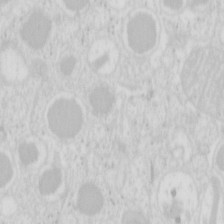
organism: Mouse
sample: Pancreas